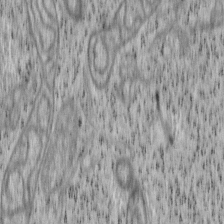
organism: Human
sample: HeLa cells